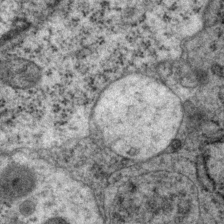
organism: P. pacificus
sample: Pharynx